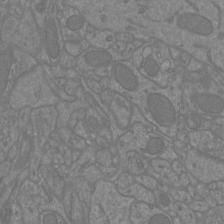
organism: Mouse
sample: Cortical neurons